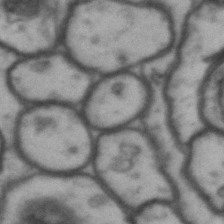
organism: Drosophila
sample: Brain